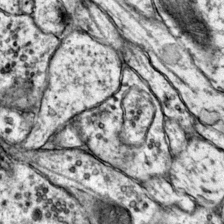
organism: Mouse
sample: Primary visual cortex